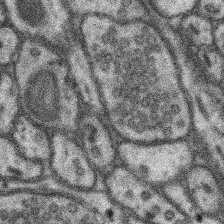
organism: Mouse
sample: Somatosensory cortex neuropil